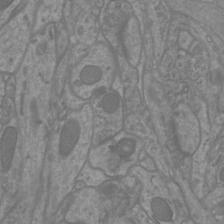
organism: Mouse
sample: Cortical neurons